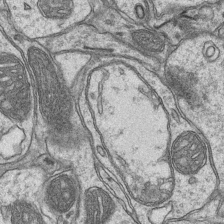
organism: Mouse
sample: CA1 Hippocampus